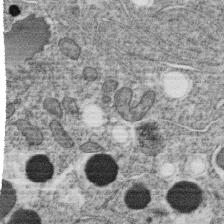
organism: C. elegans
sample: C. elegans oocyte; sperm cells